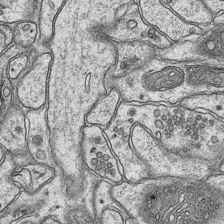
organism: Mouse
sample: CA1 Hippocampus